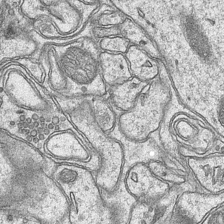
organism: Mouse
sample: CA1 Hippocampus